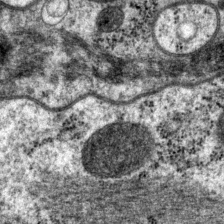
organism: P. pacificus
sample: Pharynx